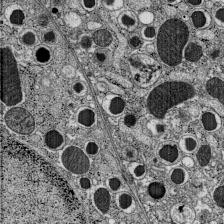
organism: C57BL Mouse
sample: Pancreatic islet